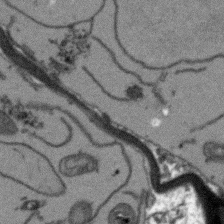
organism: Arabidopsis thaliana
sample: Root tip